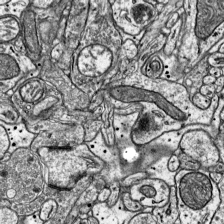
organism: Mouse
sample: Visual Cortex